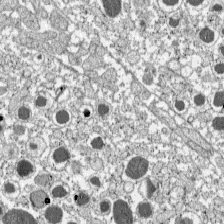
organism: C57BL Mouse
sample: Pancreatic islet